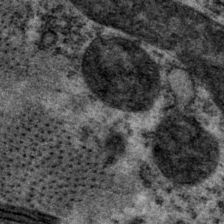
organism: P. pacificus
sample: Pharynx